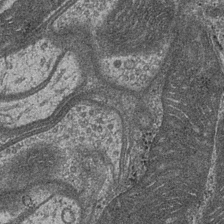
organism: Drosophila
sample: Optic medulla